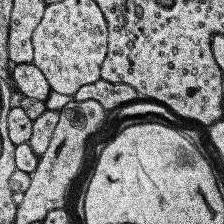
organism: Human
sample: Temporal Lobe